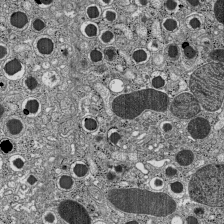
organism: C57BL Mouse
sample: Pancreatic islet